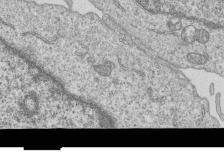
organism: Human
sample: MDA-MB-231 cells